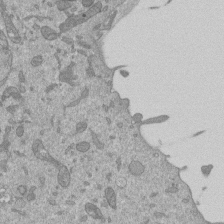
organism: Mouse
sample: ED-1 cell nuclei; centrioles